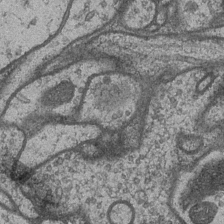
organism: Drosophila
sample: Optic medulla